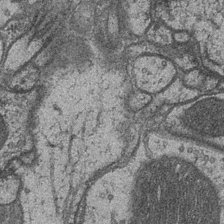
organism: Drosophila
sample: Optic medulla